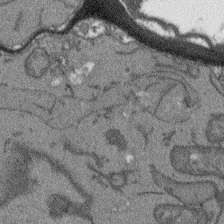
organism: Arabidopsis thaliana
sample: Root tip